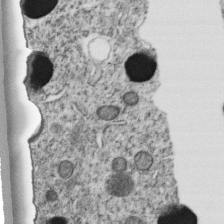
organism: C. elegans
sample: C. elegans embryo early stage